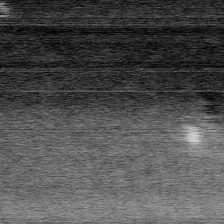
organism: Human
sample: HeLa cells